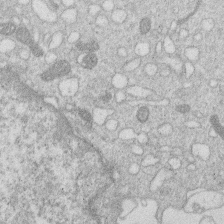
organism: Human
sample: Macrophage cells